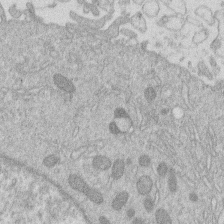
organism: Human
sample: Macrophage cells